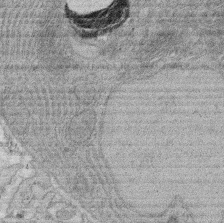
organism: Rat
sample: Salivary granule